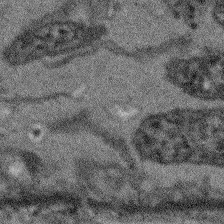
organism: Arabidopsis thaliana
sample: Root tip